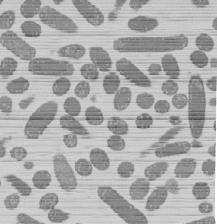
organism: E. coli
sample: Bacterial nucleoid